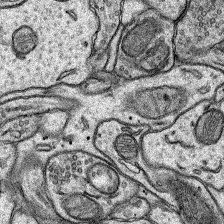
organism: Rat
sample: Hippocampus